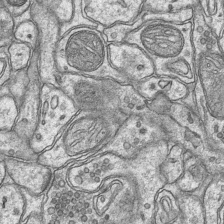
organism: Mouse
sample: CA1 Hippocampus